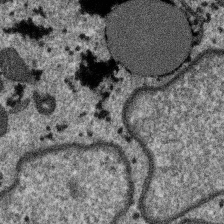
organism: Human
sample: Lung epithelial cells infected with SARS-CoV-2